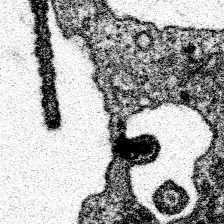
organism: Spongilla lacustris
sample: Neuroid cell